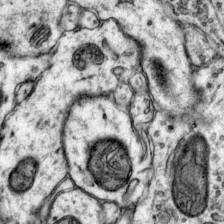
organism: Mouse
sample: Primary visual cortex